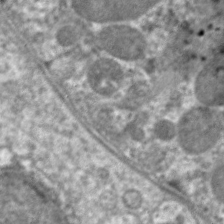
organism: C. elegans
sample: Pharynx